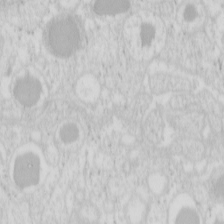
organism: Mouse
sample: Pancreas